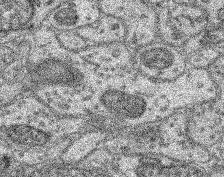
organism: Mouse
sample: Retina